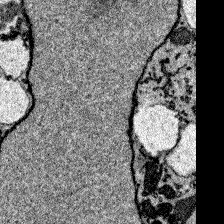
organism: Zebrafish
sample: Larval olfactory bulb